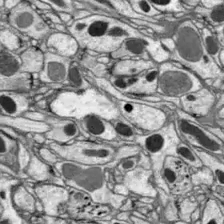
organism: Drosophila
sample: Optic lobe